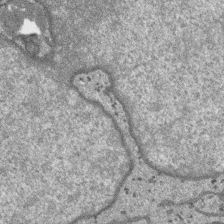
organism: Human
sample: Lung epithelial cells infected with SARS-CoV-2